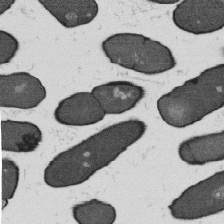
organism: B. subtilis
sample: Bacterial spore